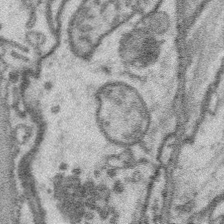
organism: Platynereis dumerilii